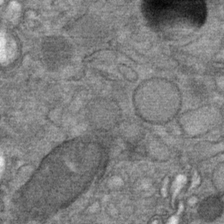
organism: Mouse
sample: Mouse Salivary gland